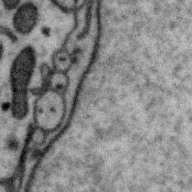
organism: Zebra finch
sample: Brain